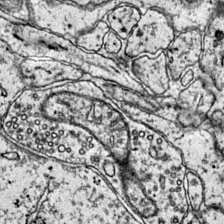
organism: Mouse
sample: Primary visual cortex